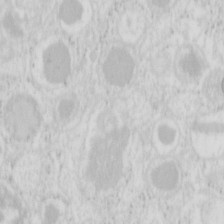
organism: Mouse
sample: Pancreas